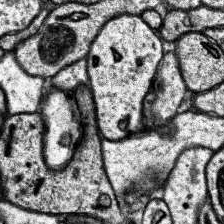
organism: Human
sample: Temporal Lobe